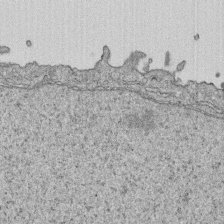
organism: Human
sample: HeLa cell HIV synapse